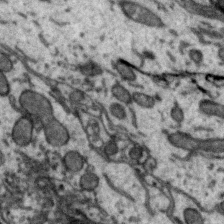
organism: Zebra finch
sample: Brain